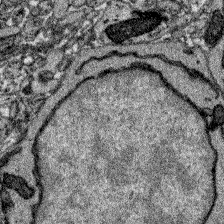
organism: Zebrafish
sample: Larval olfactory bulb